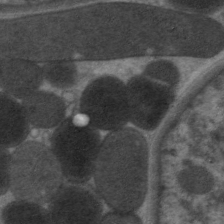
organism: C. elegans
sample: Pharynx